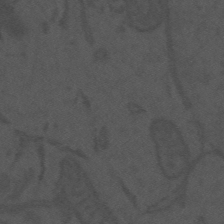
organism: Mouse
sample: Suprachiasmatic nucleus